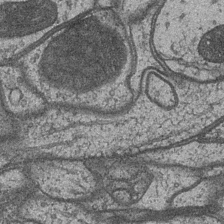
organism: Drosophila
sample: Optic medulla